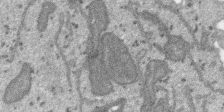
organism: Human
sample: Lung epithelial cells infected with SARS-CoV-2